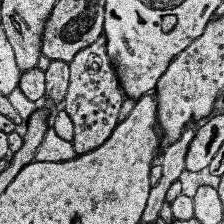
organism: Human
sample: Temporal Lobe